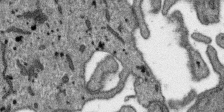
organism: Human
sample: Lung epithelial cells, uninfected (mock) control